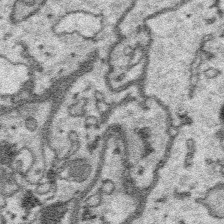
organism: Platynereis dumerilii